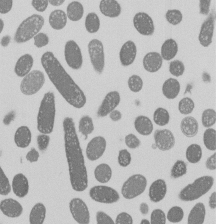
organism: E. coli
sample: Bacterial nucleoid